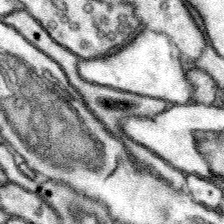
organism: Mouse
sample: Somatosensory cortex neuropil